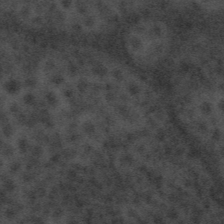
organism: Tuwongella immobilis